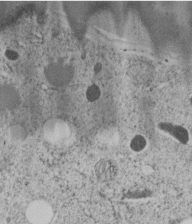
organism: C. elegans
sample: C. elegans embryo early stage